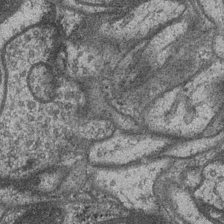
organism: Drosophila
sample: Optic medulla